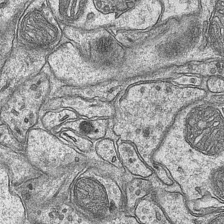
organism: Mouse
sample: CA1 Hippocampus